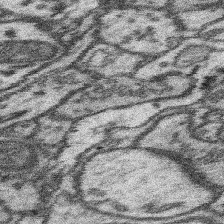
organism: Mouse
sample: Somatosensory cortex neuropil